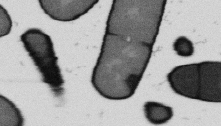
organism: B. subtilis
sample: Bacterial spore